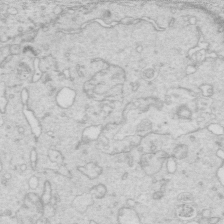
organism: Mouse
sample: Multiciliated cells